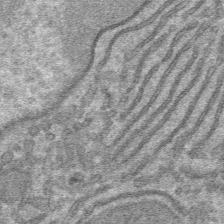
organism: Mouse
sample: Mouse hepatocytes